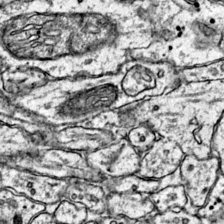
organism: Mouse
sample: Primary visual cortex